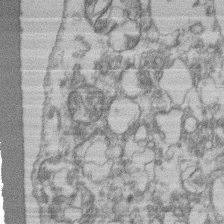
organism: Mouse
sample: T cell stromal cell synapse